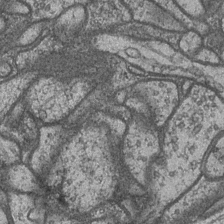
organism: Drosophila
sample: Optic medulla